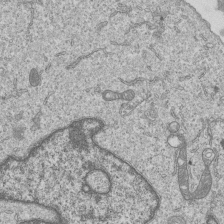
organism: Human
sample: MDA-MB-231 cells